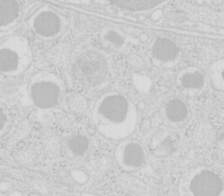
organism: Mouse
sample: Pancreas